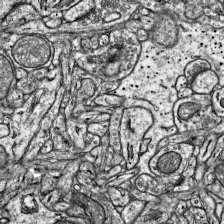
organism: Mouse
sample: Visual Cortex